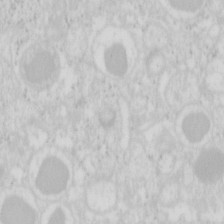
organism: Mouse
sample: Pancreas